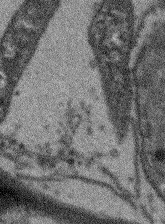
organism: Arabidopsis thaliana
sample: Root tip